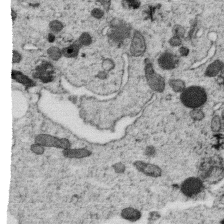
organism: C. elegans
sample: C. elegans oocyte; sperm cells